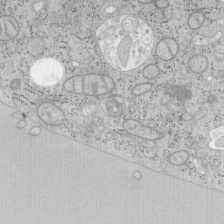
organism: Mouse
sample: OT-I killer T cells with ID8 ovarian cancer cells